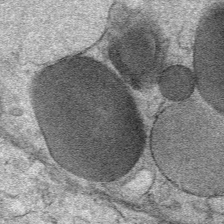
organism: Mouse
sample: Mouse Salivary gland